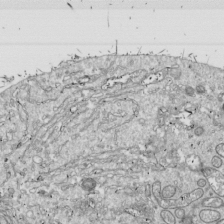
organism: Drosophila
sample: Cell division; meiosis; drosophila spermatocytes